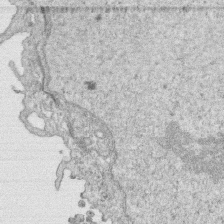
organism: Human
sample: HeLa cell HIV synapse